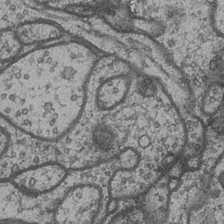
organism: Drosophila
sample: Optic medulla